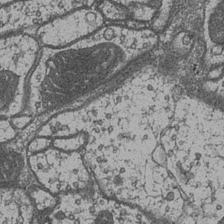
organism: Drosophila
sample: Optic medulla